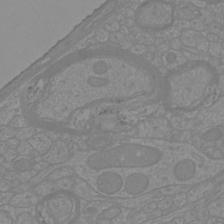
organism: Mouse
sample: Cortical neurons